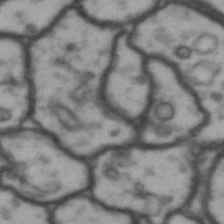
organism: Drosophila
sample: Brain